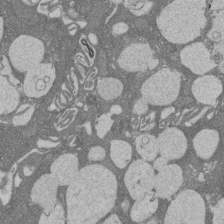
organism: Rat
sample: Salivary granule